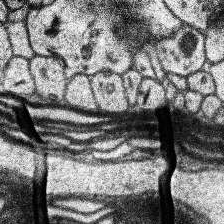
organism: Human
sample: Temporal Lobe